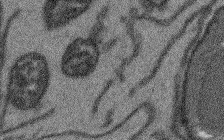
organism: Arabidopsis thaliana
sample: Root tip